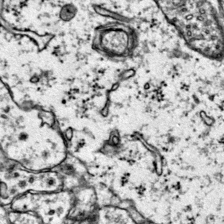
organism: Mouse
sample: Primary visual cortex